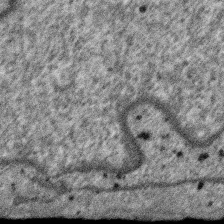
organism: Human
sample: Lung epithelial cells infected with SARS-CoV-2